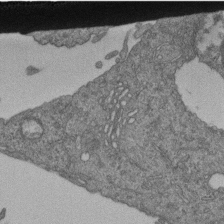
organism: Human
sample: Retinal organoid Rod and Cone cells